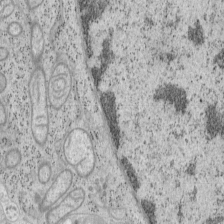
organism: Mouse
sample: OT-I killer T cells with ID8 ovarian cancer cells